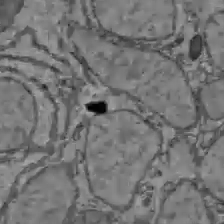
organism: C57BL Mouse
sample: Liver